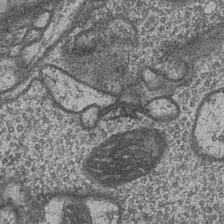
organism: Drosophila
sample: Optic medulla